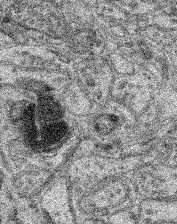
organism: Mouse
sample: Retina